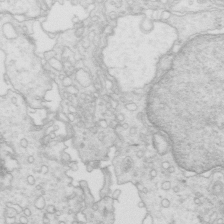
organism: Mouse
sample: Multiciliated cells